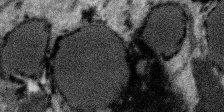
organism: Human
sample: Lung epithelial cells infected with SARS-CoV-2